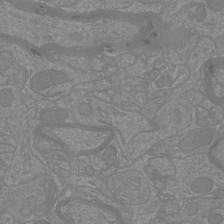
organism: Mouse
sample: Cortical neurons